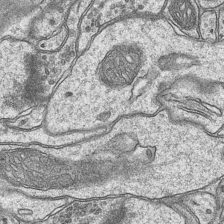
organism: Mouse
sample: CA1 Hippocampus